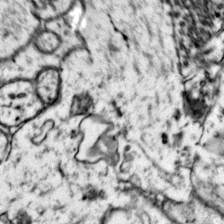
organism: Mouse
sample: Primary visual cortex